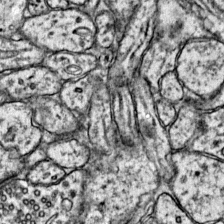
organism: Mouse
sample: Primary visual cortex